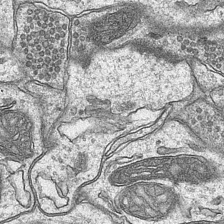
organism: Mouse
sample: CA1 Hippocampus